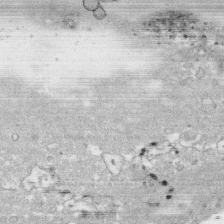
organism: Human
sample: CRL-1474